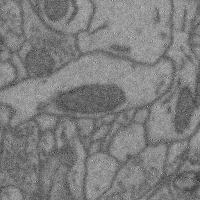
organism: Mouse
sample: Cerebral cortex